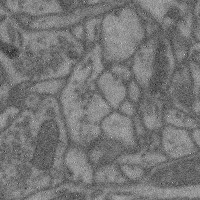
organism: Mouse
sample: Cerebral cortex